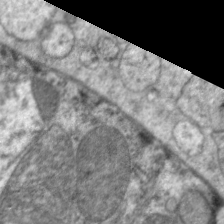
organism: C. elegans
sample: Pharynx